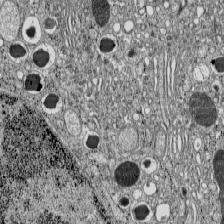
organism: C57BL Mouse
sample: Pancreatic islet